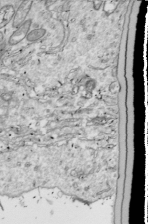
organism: Drosophila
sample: Cell division; meiosis; drosophila spermatocytes